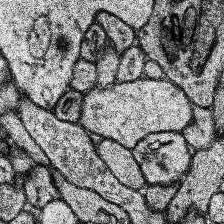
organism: Human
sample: Temporal Lobe